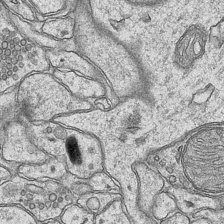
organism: Mouse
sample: CA1 Hippocampus